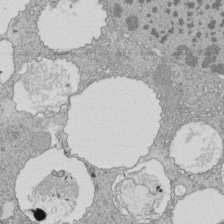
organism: Tetrahymena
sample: Cilia in tetrahymena